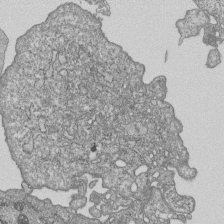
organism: Human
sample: MDA-MB-231 cells